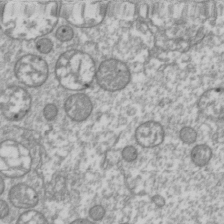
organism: Drosophila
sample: Cell division; meiosis; drosophila spermatocytes